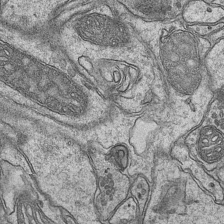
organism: Mouse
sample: CA1 Hippocampus